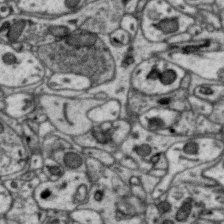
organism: Zebra finch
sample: Brain